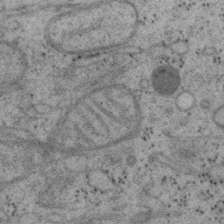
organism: Human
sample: HeLa cells